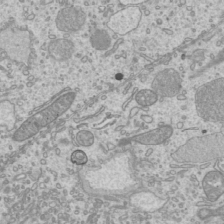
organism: Mouse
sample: Cilia; mouse epididymis